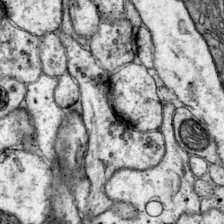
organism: Mouse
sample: Primary visual cortex